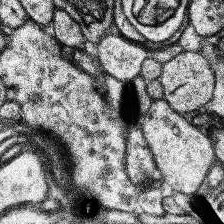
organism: Human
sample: Temporal Lobe